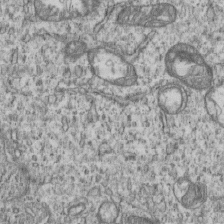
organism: Human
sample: MDA-MB-231 cells